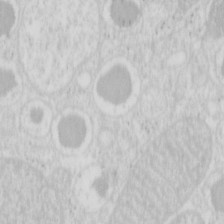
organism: Mouse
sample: Pancreas